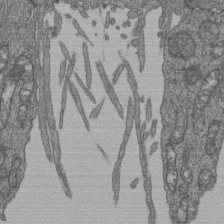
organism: Human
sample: Retinal organoid Rod and Cone cells